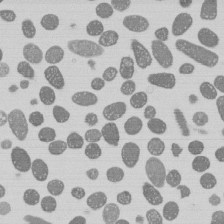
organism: E. coli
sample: Bacterial nucleoid